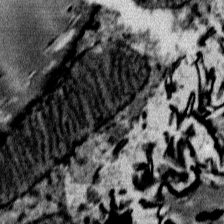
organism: Mouse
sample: Mouse Salivary gland